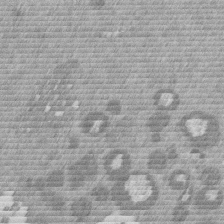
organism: Mouse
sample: Dividing mouse embryo 1 cell stage